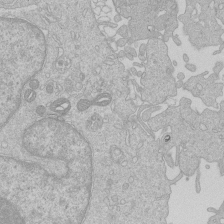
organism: Human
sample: Macrophage cells